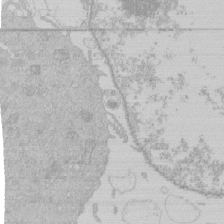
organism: Human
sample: Macrophage cells